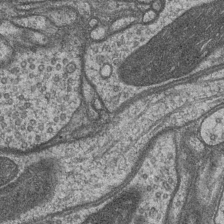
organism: Drosophila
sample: Optic medulla